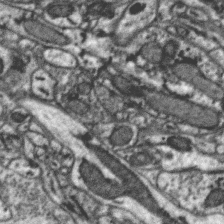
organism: Zebra finch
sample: Brain